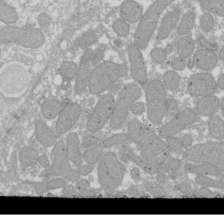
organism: Xenopus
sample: Cilia; centrioles in frog embryo cells